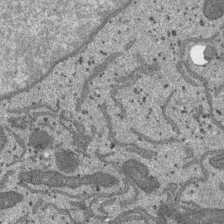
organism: Human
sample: Lung epithelial cells infected with SARS-CoV-2